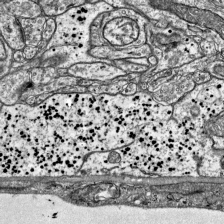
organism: Mouse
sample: Visual Cortex